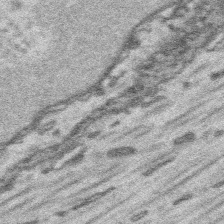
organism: Platynereis dumerilii